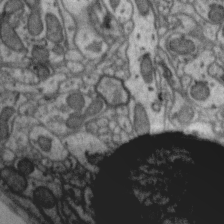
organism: Zebra finch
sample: Brain